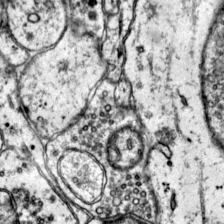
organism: Mouse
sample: Primary visual cortex